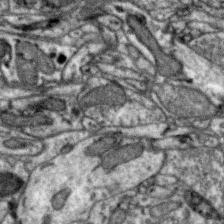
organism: Zebra finch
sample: Brain